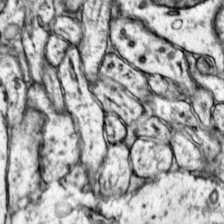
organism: Mouse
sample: Primary visual cortex